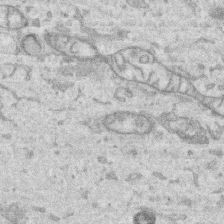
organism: Human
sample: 1205lu cells